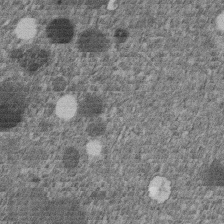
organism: C. elegans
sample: C. elegans embryo early stage